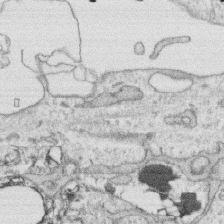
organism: Human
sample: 1205lu cells